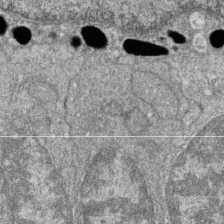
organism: Zebrafish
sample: Cilia; retinal pigment epithelium